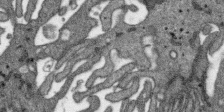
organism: Human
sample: Lung epithelial cells, uninfected (mock) control